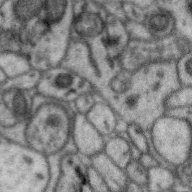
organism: Zebra finch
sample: Brain